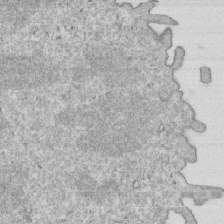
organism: Mouse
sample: Activated OT-1 CD8+ T cells